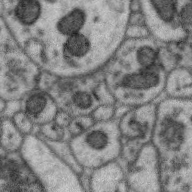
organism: Zebra finch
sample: Brain